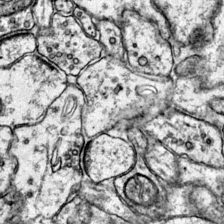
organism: Mouse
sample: Primary visual cortex